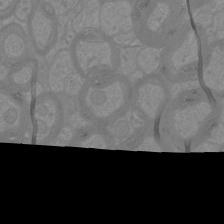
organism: Mouse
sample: Cortical neurons